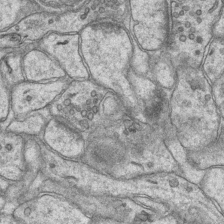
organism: Mouse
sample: CA1 Hippocampus